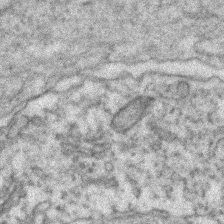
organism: Zebrafish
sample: Zebrafish embryo